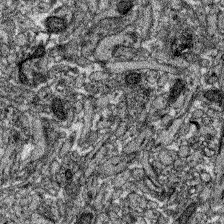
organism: Zebrafish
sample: Larval olfactory bulb